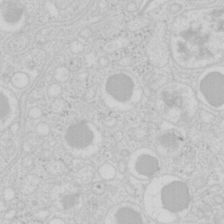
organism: Mouse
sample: Pancreas